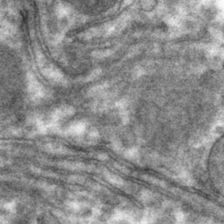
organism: Mouse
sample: Mouse hepatocytes